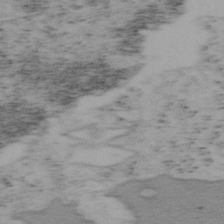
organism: Mouse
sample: OT-I killer T cells with ID8 ovarian cancer cells